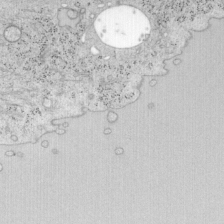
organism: Mouse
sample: OT-I killer T cells with ID8 ovarian cancer cells